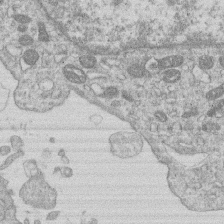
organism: Human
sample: Macrophage cells